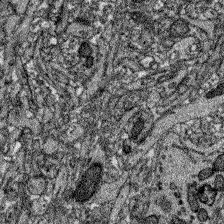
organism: Zebrafish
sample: Larval olfactory bulb